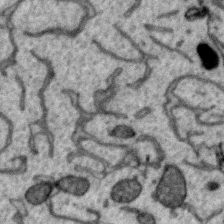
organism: Zebra finch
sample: Brain